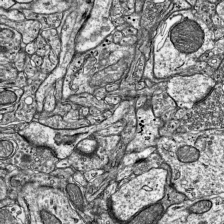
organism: Mouse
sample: Visual Cortex